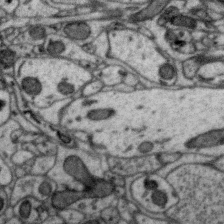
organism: Zebra finch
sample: Brain